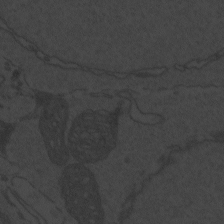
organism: Zebrafish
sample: Macrophage infected with Toxoplasma gondii